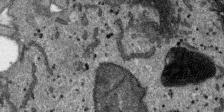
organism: Human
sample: Lung epithelial cells, uninfected (mock) control